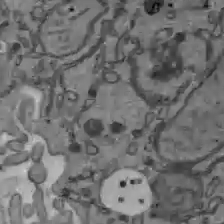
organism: C57BL Mouse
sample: Liver